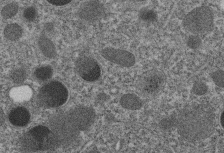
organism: C. elegans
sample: C. elegans embryo early stage